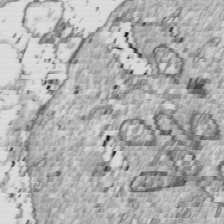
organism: Drosophila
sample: Cell division; meiosis; drosophila spermatocytes